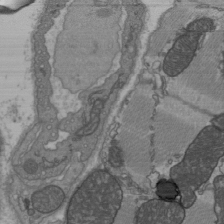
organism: C57BL Mouse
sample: Heart